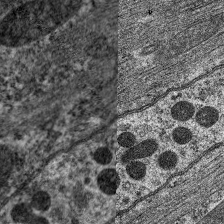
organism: C. elegans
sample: Pharynx